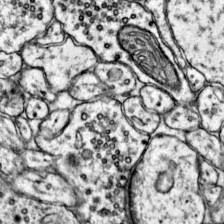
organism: Mouse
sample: Primary visual cortex